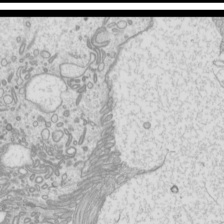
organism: Mouse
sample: Cilia; mouse epididymis